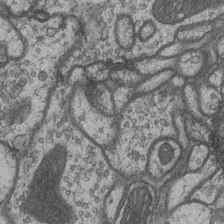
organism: Drosophila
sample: Optic medulla